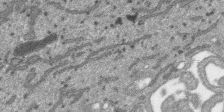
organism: Human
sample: Lung epithelial cells infected with SARS-CoV-2